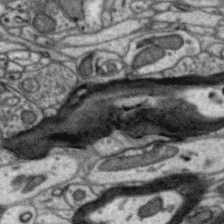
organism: Zebra finch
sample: Brain